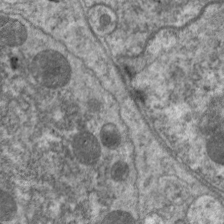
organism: C. elegans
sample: Pharynx